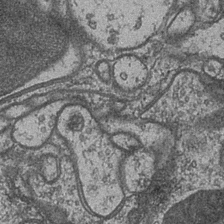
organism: Drosophila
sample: Optic medulla